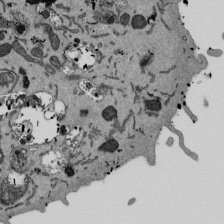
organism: Mouse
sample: ED-1 cell nuclei; centrioles